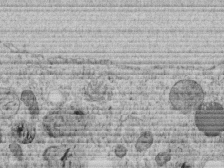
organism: C. elegans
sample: C. elegans embryo early stage